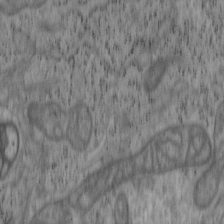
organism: Human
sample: HeLa cells